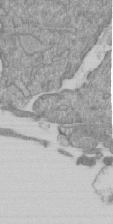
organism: Mouse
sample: ED-1 cell nuclei; centrioles